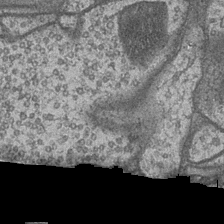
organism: Drosophila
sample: Optic medulla